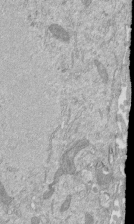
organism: Mouse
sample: ED-1 cell nuclei; centrioles